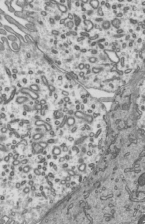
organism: Mouse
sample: Mouse epididymis efferent ductule cilia